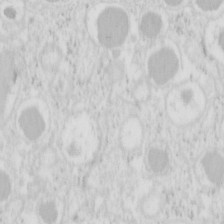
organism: Mouse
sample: Pancreas